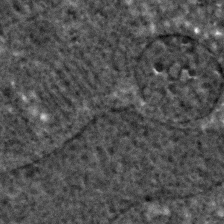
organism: C. elegans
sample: C. elegans embryo